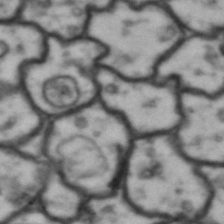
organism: Drosophila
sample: Brain